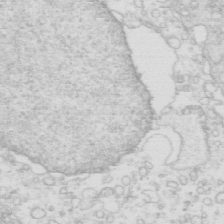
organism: Mouse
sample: Multiciliated cells